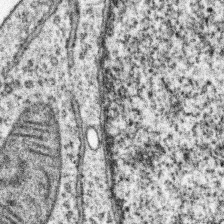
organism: Human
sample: HeLa cells